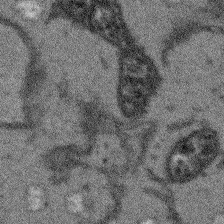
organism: Arabidopsis thaliana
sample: Root tip